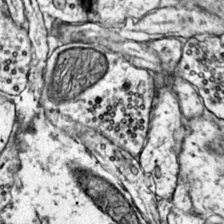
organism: Mouse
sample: Primary visual cortex